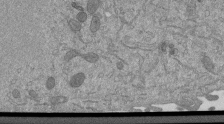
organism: Mouse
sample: ED-1 cell nuclei; centrioles